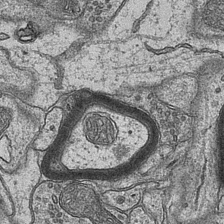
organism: Mouse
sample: CA1 Hippocampus